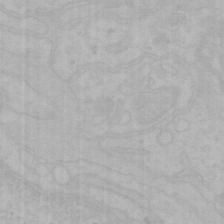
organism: Mouse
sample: Choroid plexus